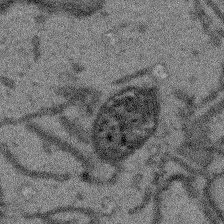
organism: Arabidopsis thaliana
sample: Root tip